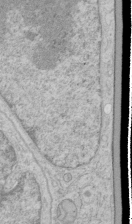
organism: Human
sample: Mitochondria in HCT116 cells